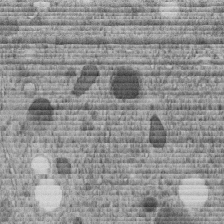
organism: C. elegans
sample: C. elegans embryo early stage